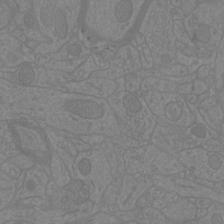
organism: Mouse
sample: Cortical neurons